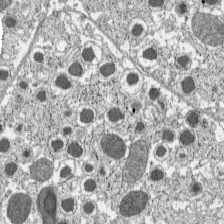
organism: C57BL Mouse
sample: Pancreatic islet